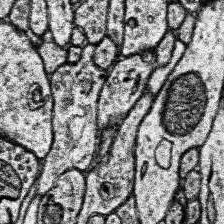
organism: Human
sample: Temporal Lobe